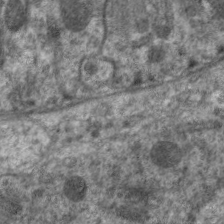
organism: C. elegans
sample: Pharynx